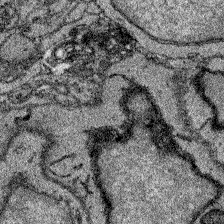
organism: Zebrafish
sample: Larval olfactory bulb